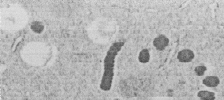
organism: C. elegans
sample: C. elegans embryo early stage